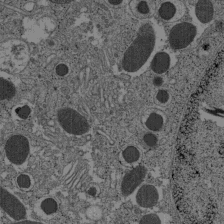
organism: C57BL Mouse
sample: Pancreatic islet